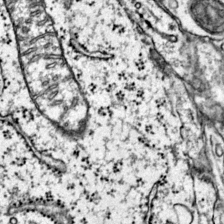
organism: Mouse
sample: Primary visual cortex